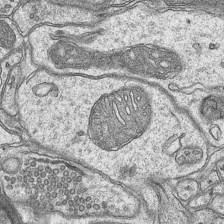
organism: Mouse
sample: CA1 Hippocampus